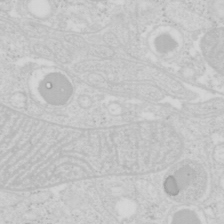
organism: Mouse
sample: Pancreas